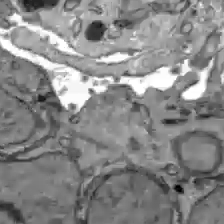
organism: C57BL Mouse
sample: Liver